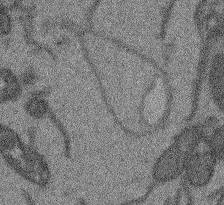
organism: Arabidopsis thaliana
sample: Root tip